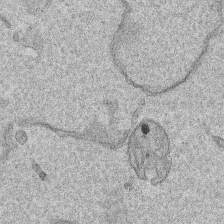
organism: Human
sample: Mitochondria in HCT116 cells